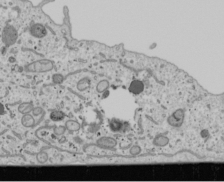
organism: Human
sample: Mitochondria in U2OS cells